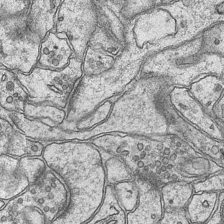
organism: Mouse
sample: CA1 Hippocampus